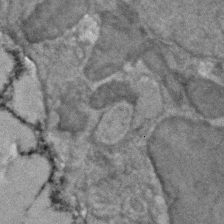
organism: Human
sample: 1205lu cells